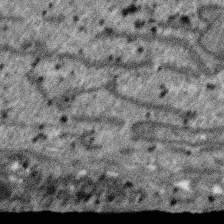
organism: Human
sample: Lung epithelial cells infected with SARS-CoV-2